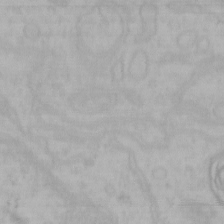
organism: Mouse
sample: Choroid plexus